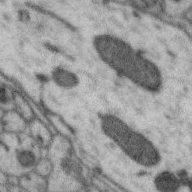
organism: Zebra finch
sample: Brain